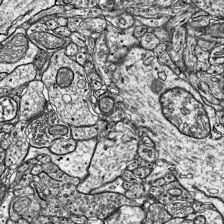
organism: Mouse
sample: Visual Cortex